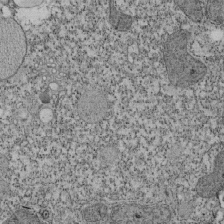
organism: Tetrahymena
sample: Cilia in tetrahymena